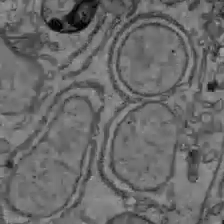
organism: C57BL Mouse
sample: Liver